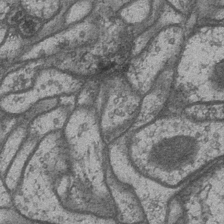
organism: Drosophila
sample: Optic medulla